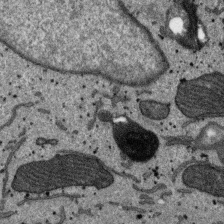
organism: Human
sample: Lung epithelial cells, uninfected (mock) control